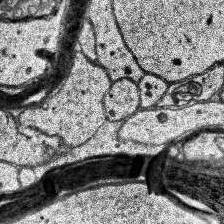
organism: Human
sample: Temporal Lobe